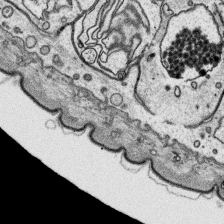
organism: Platynereis dumerilii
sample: Parapodia